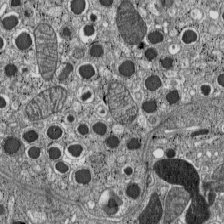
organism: C57BL Mouse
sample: Pancreatic islet